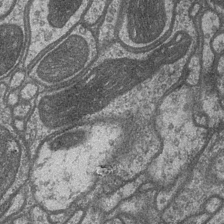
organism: Drosophila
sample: Optic medulla